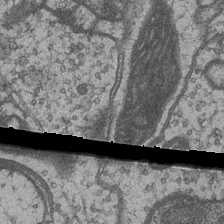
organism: Drosophila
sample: Optic medulla